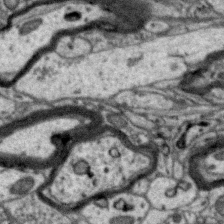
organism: Zebra finch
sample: Brain